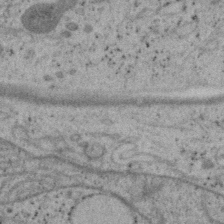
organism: Human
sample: HeLa cells